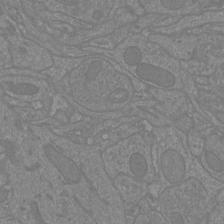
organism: Mouse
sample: Cortical neurons